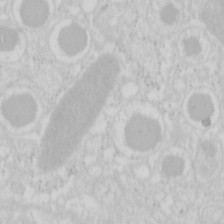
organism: Mouse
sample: Pancreas